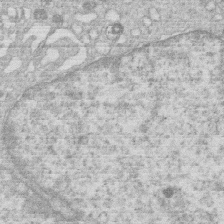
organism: Human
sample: Macrophage cells